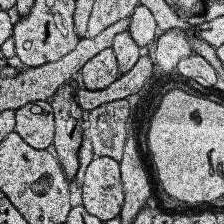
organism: Human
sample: Temporal Lobe